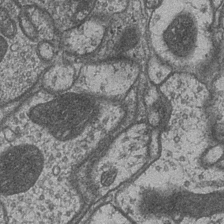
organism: Drosophila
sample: Optic medulla